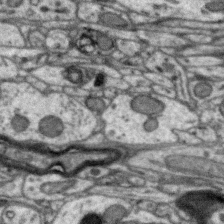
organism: Zebra finch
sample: Brain